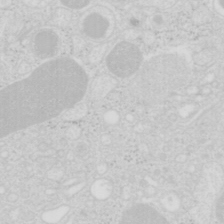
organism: Mouse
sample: Pancreas